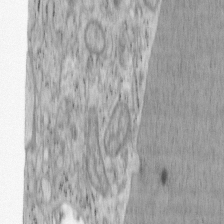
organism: Human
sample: HeLa cells